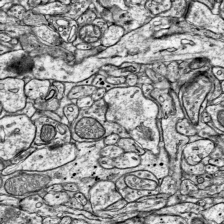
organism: Mouse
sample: Visual Cortex